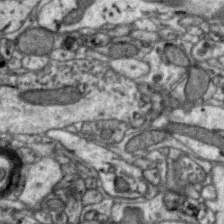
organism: Zebra finch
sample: Brain